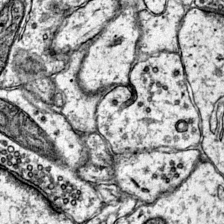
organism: Mouse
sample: Primary visual cortex